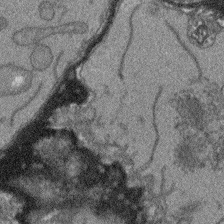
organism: Arabidopsis thaliana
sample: Root tip